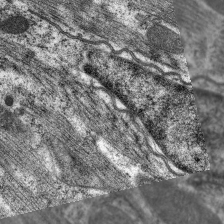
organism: C. elegans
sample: Pharynx